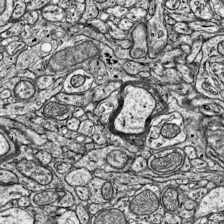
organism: Mouse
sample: Visual Cortex